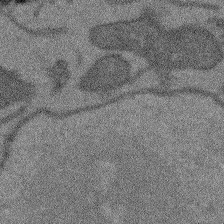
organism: Arabidopsis thaliana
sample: Root tip